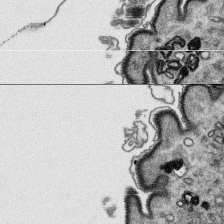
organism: Platynereis dumerilii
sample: Parapodia